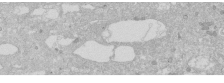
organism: Human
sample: Caco-2 cells